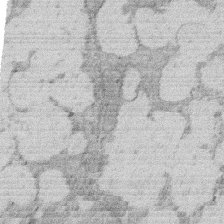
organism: Rat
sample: Salivary granule